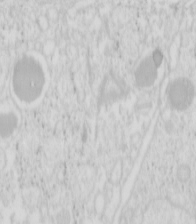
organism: Mouse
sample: Pancreas